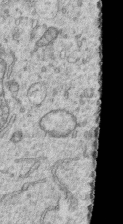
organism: Human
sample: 1205lu cells